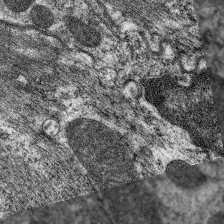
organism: C. elegans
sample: Pharynx